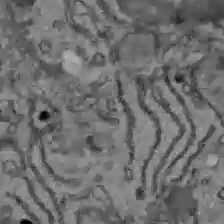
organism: C57BL Mouse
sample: Liver